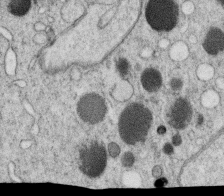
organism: C. elegans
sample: C. elegans oocyte; sperm cells